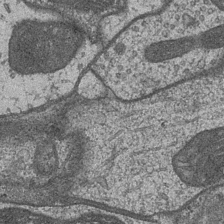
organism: Drosophila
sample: Optic medulla